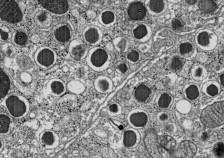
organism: C57BL Mouse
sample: Pancreatic islet